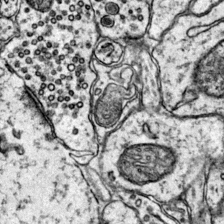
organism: Mouse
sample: Primary visual cortex